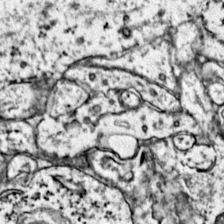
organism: Mouse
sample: Primary visual cortex